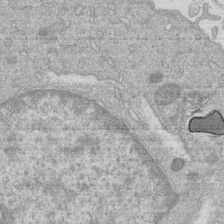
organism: Human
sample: Macrophage cells